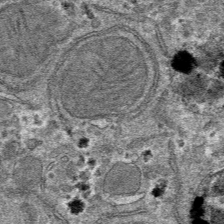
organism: Mouse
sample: Mouse hepatocytes